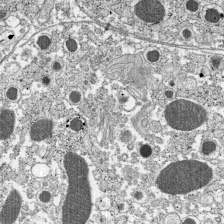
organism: C57BL Mouse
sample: Pancreatic islet